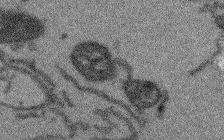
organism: Arabidopsis thaliana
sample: Root tip